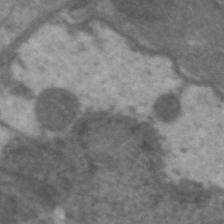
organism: C. elegans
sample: Pharynx